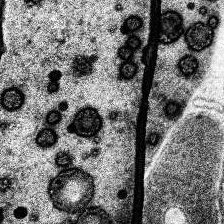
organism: Human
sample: Temporal Lobe